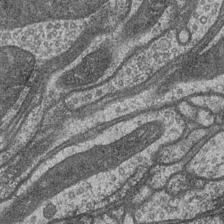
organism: Drosophila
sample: Optic medulla